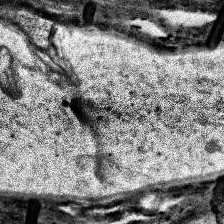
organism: Human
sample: Temporal Lobe